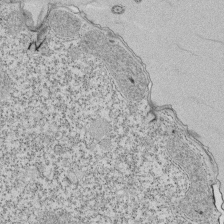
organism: Tetrahymena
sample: Cilia in tetrahymena